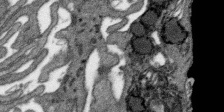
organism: Human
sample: Lung epithelial cells, uninfected (mock) control